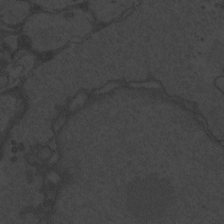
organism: Zebrafish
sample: Macrophage infected with Toxoplasma gondii